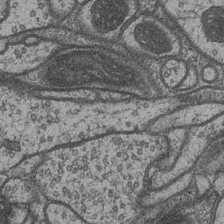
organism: Drosophila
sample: Optic medulla